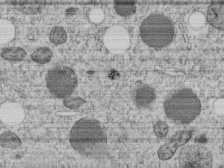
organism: C. elegans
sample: C. elegans embryo early stage